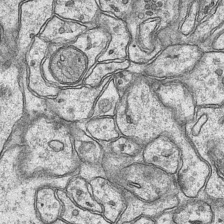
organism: Mouse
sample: CA1 Hippocampus